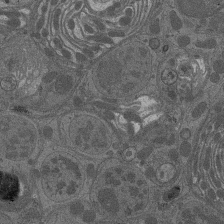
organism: Drosophila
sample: Antenna